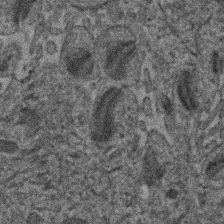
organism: Human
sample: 1205lu cells